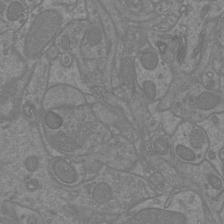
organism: Mouse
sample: Cortical neurons